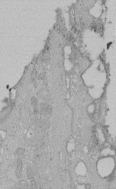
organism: Human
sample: Melanocyte Keratinocyte synapse skin construct